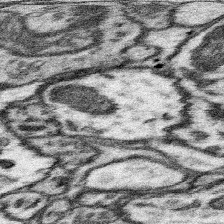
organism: Mouse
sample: Somatosensory cortex neuropil